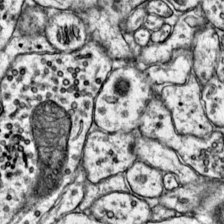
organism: Mouse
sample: Primary visual cortex